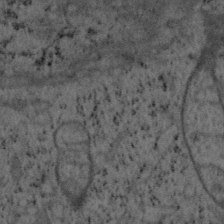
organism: Human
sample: HeLa cells